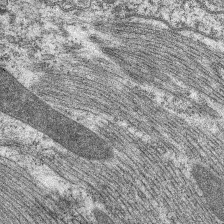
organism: C. elegans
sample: Pharynx